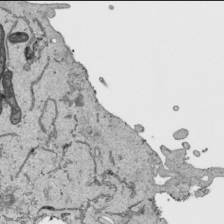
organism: Human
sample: Mitochondria in HCT116 cells